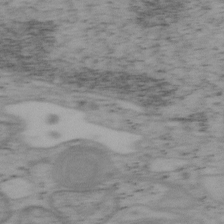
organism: Mouse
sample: OT-I killer T cells with ID8 ovarian cancer cells